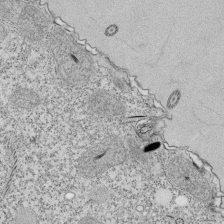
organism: Tetrahymena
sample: Cilia in tetrahymena